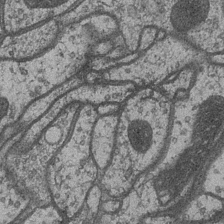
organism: Drosophila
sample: Optic medulla